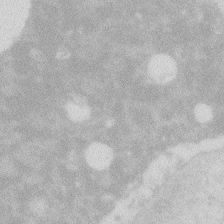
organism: Zebrafish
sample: Macrophage